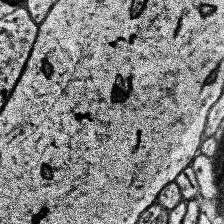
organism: Human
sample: Temporal Lobe